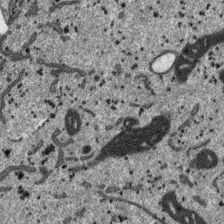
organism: Human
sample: Lung epithelial cells infected with SARS-CoV-2